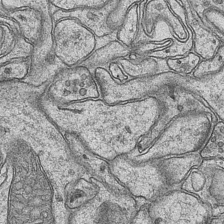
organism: Mouse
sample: CA1 Hippocampus